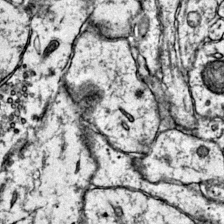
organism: Mouse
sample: Primary visual cortex